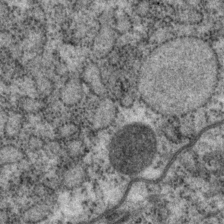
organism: P. pacificus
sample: Pharynx